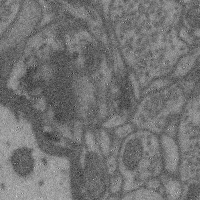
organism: Mouse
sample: Cerebral cortex